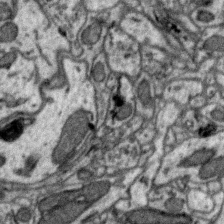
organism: Zebra finch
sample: Brain